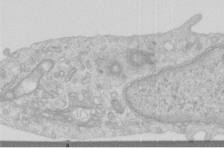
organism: Human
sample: Centriole in RPE cells